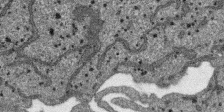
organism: Human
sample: Lung epithelial cells infected with SARS-CoV-2